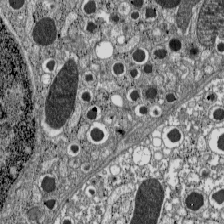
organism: C57BL Mouse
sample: Pancreatic islet